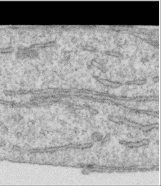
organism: Human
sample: Centriole in RPE cells